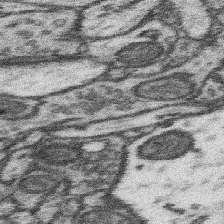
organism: Mouse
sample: Somatosensory cortex neuropil